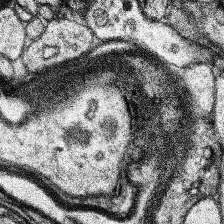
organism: Human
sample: Temporal Lobe